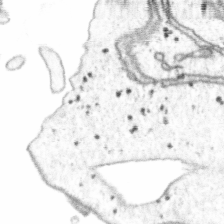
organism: Human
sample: HeLa cells